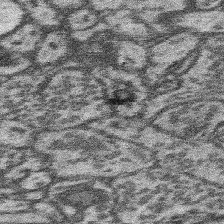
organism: Mouse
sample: Somatosensory cortex neuropil